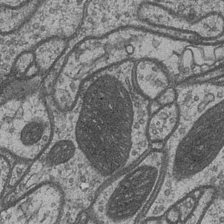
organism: Drosophila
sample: Optic medulla